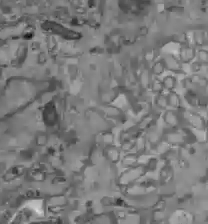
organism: C57BL Mouse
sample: Liver